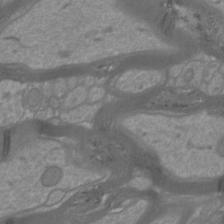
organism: Mouse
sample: Cortical neurons